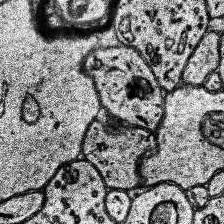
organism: Human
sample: Temporal Lobe